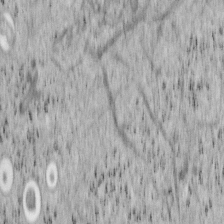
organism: Human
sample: HeLa cells